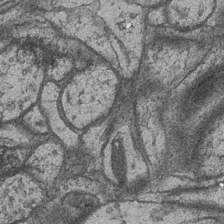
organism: Drosophila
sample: Optic medulla